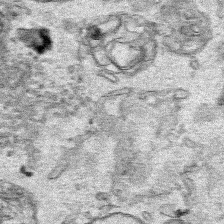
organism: Human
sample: Mitochondria in HCT116 cells